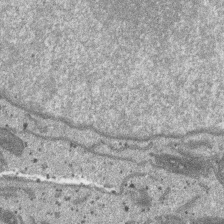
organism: Human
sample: Lung epithelial cells infected with SARS-CoV-2